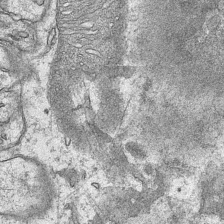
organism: Mouse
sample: CA1 Hippocampus